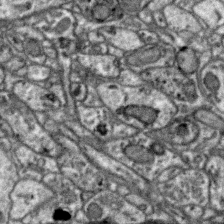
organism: Zebra finch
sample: Brain